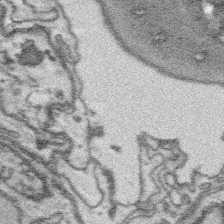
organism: Platynereis dumerilii